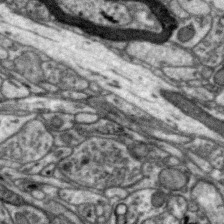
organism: Zebra finch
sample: Brain